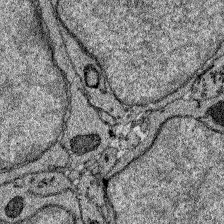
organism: Zebrafish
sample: Larval olfactory bulb